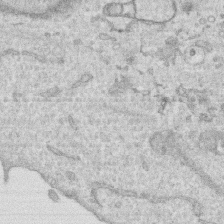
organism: Human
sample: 1205lu cells